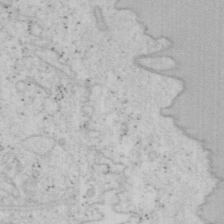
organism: Human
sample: HeLa cells